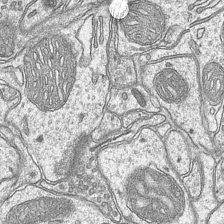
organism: Mouse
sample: CA1 Hippocampus